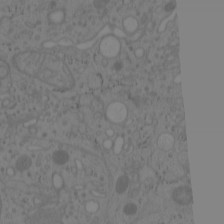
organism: Human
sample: HeLa cells